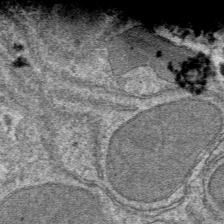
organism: Mouse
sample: Mouse hepatocytes